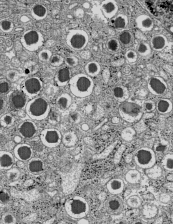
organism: C57BL Mouse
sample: Pancreatic islet